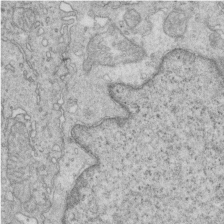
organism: Mouse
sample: Multiciliated cells